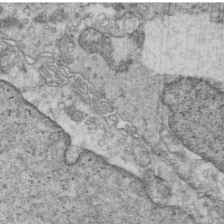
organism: Mouse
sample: Multiciliated cells